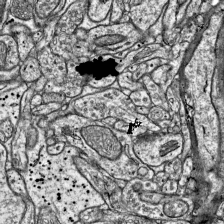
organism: Mouse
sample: Visual Cortex